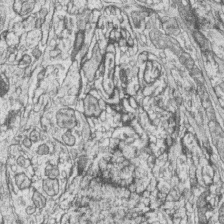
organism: Zebrafish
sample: synaptic ribbons in rod cells and cone cells